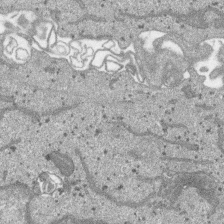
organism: Human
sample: Lung epithelial cells infected with SARS-CoV-2